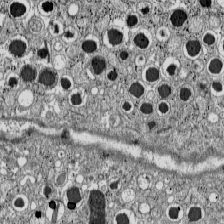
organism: C57BL Mouse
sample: Pancreatic islet